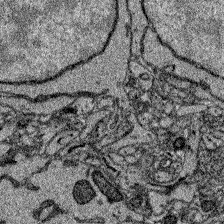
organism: Zebrafish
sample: Larval olfactory bulb